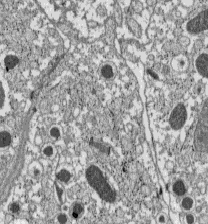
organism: C57BL Mouse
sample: Pancreatic islet